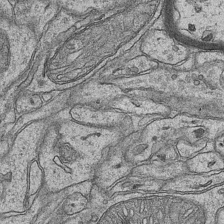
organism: Mouse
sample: CA1 Hippocampus